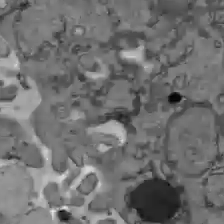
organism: C57BL Mouse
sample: Liver